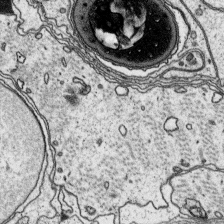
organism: Platynereis dumerilii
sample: Parapodia